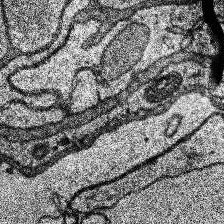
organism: Human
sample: Temporal Lobe